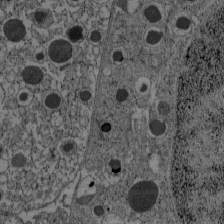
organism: C57BL Mouse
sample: Pancreatic islet